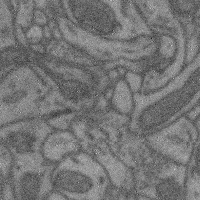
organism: Mouse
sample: Cerebral cortex